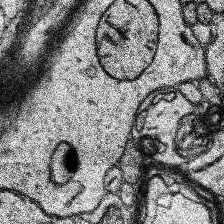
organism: Human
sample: Temporal Lobe